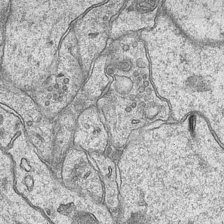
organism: Mouse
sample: CA1 Hippocampus